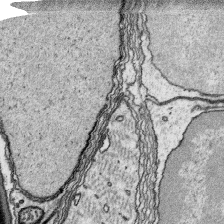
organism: Platynereis dumerilii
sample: Parapodia